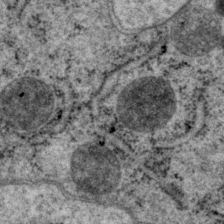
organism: P. pacificus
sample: Pharynx